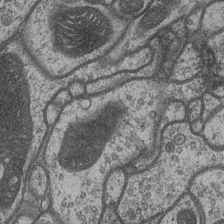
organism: Drosophila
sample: Optic medulla